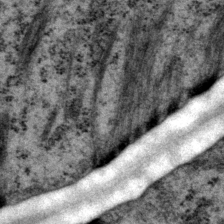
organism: P. pacificus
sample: Pharynx